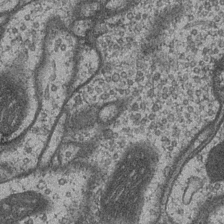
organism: Drosophila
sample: Optic medulla